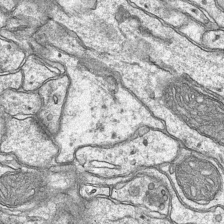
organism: Mouse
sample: CA1 Hippocampus